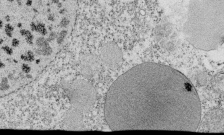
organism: Tetrahymena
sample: Cilia in tetrahymena